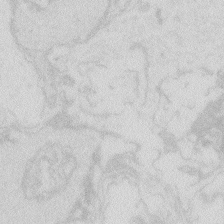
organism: Zebrafish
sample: Macrophage